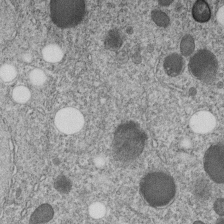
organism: C. elegans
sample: C. elegans embryo early stage